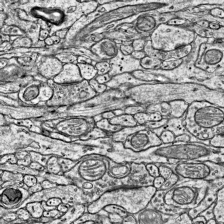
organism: Mouse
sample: Visual Cortex